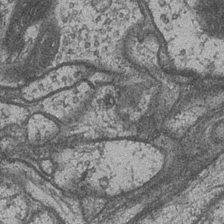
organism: Drosophila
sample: Optic medulla